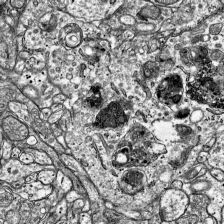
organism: Mouse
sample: Visual Cortex